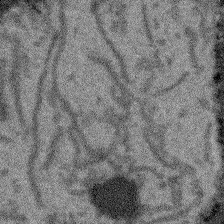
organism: Arabidopsis thaliana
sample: Root tip